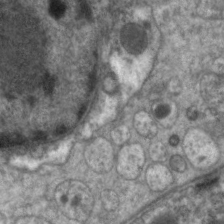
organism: C. elegans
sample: Pharynx